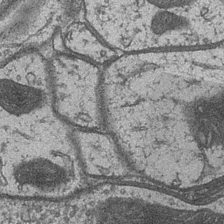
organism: Drosophila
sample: Optic medulla